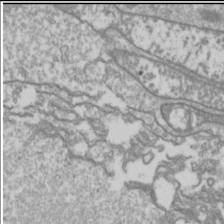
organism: Drosophila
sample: Cell division; meiosis; drosophila spermatocytes